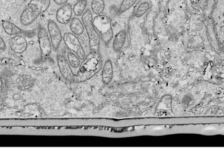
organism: Drosophila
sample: Cell division; meiosis; drosophila spermatocytes